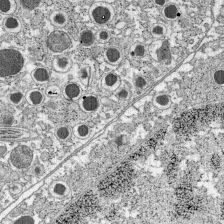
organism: C57BL Mouse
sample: Pancreatic islet